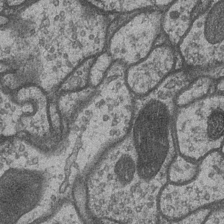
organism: Drosophila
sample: Optic medulla